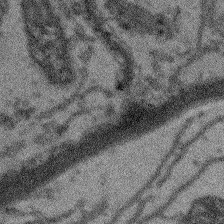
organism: Arabidopsis thaliana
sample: Root tip